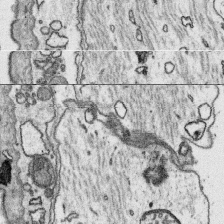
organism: Platynereis dumerilii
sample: Parapodia